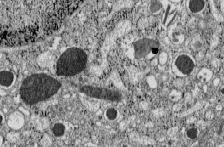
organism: C57BL Mouse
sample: Pancreatic islet